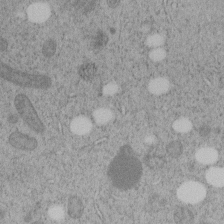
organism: C. elegans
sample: C. elegans embryo early stage